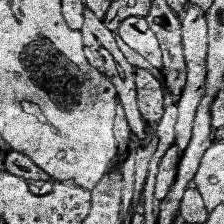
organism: Human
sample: Temporal Lobe